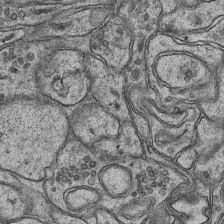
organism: Mouse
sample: CA1 Hippocampus